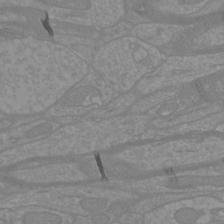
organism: Mouse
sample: Cortical neurons